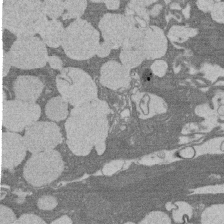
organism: Rat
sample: Salivary granule